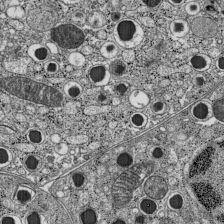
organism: C57BL Mouse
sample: Pancreatic islet